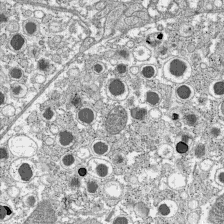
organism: C57BL Mouse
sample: Pancreatic islet